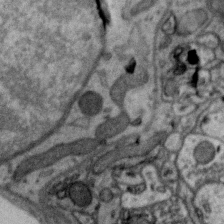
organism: Zebra finch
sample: Brain